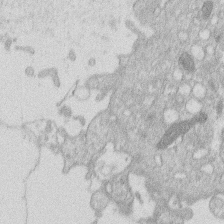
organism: Human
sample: Macrophage cells